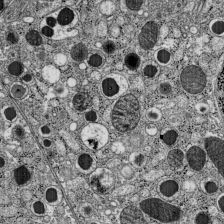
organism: C57BL Mouse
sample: Pancreatic islet